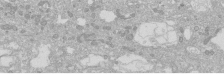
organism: Human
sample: Caco-2 cells